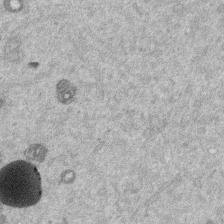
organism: Mouse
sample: Dividing mouse embryo 1 cell stage